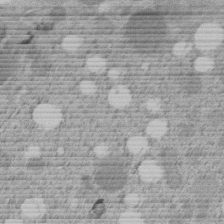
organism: C. elegans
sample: C. elegans embryo early stage